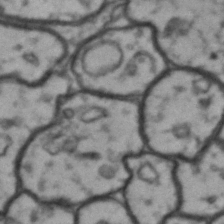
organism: Drosophila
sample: Brain